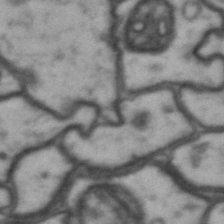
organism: Drosophila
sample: Brain